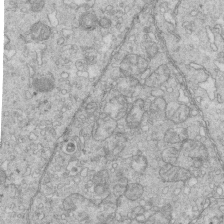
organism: Mouse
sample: Multiciliated cells